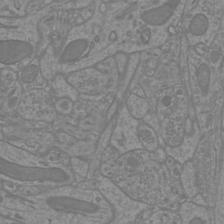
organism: Mouse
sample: Cortical neurons